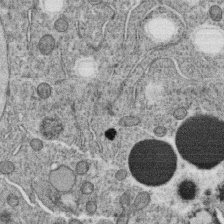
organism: C. elegans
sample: C. elegans oocyte; sperm cells